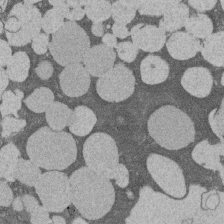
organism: Rat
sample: Salivary granule